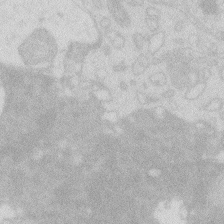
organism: Zebrafish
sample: Macrophage